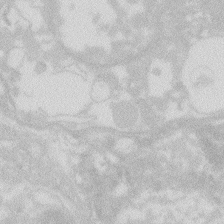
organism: Zebrafish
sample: Macrophage